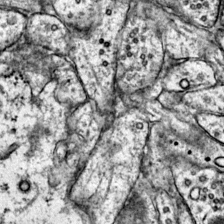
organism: Mouse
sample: Primary visual cortex